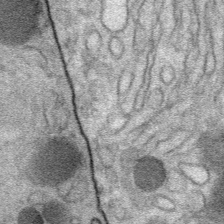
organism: Mouse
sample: Mouse Salivary gland